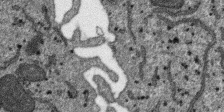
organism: Human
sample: Lung epithelial cells infected with SARS-CoV-2